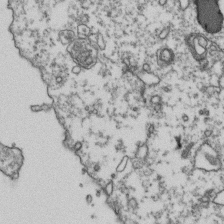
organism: Human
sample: Activated Jurkat CD4+ T cells